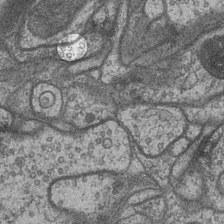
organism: Drosophila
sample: Optic medulla